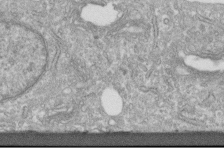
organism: Human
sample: Centriole in fibroblast cells